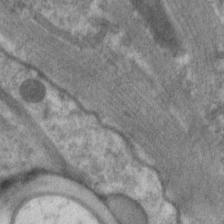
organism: C. elegans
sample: Pharynx